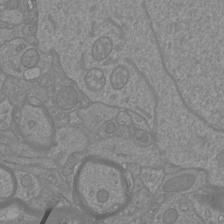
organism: Mouse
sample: Cortical neurons